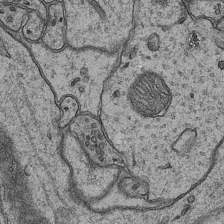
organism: Mouse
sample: CA1 Hippocampus